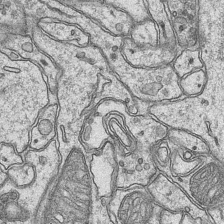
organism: Mouse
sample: CA1 Hippocampus